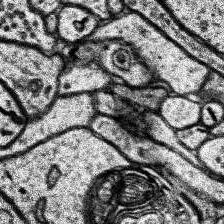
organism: Human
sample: Temporal Lobe